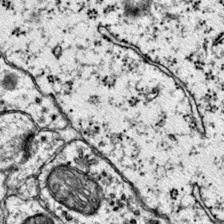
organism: Mouse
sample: Primary visual cortex